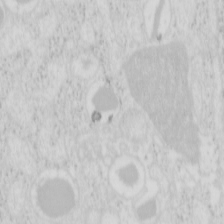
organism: Mouse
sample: Pancreas